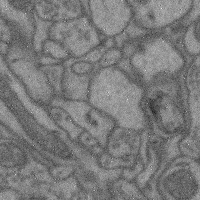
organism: Mouse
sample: Cerebral cortex